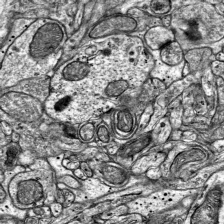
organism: Mouse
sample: Visual Cortex